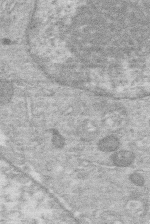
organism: Human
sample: Macrophage cells